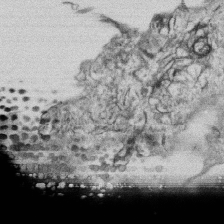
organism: Human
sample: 1205lu cells